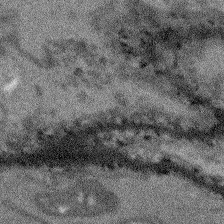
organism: Arabidopsis thaliana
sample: Root tip